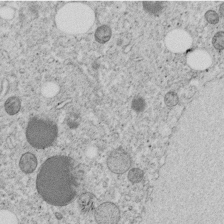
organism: C. elegans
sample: C. elegans embryo early stage